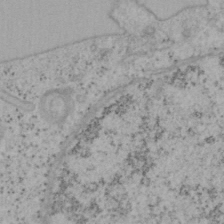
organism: Human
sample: HeLa cells